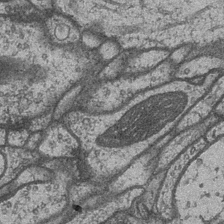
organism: Drosophila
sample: Optic medulla